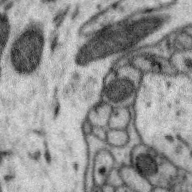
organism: Zebra finch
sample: Brain